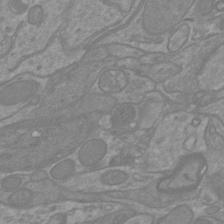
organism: Mouse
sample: Cortical neurons